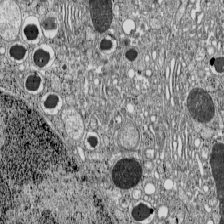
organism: C57BL Mouse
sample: Pancreatic islet